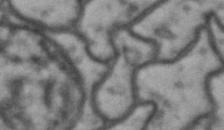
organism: Drosophila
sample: Brain